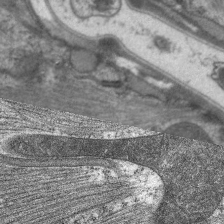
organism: C. elegans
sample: Pharynx